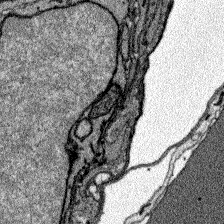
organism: Zebrafish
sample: Larval olfactory bulb